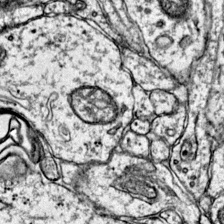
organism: Mouse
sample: Primary visual cortex